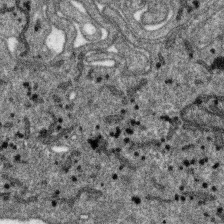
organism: Human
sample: Lung epithelial cells infected with SARS-CoV-2